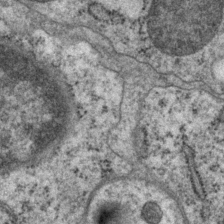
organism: P. pacificus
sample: Pharynx